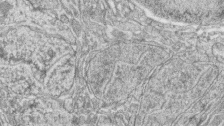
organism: Zebrafish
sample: synaptic ribbons in rod cells and cone cells